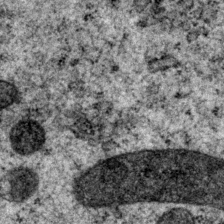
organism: P. pacificus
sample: Pharynx